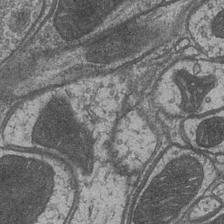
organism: Drosophila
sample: Optic medulla